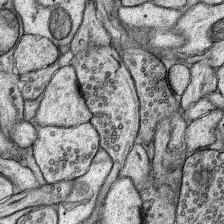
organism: Rat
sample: Hippocampus